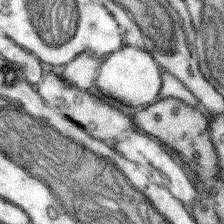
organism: Mouse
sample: Somatosensory cortex neuropil